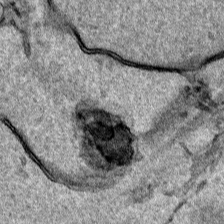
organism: Human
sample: Mitochondria in HCT116 cells